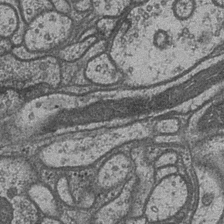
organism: Drosophila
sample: Optic medulla